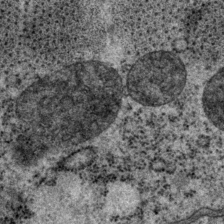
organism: P. pacificus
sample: Pharynx